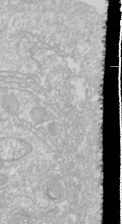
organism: Drosophila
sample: Cell division; meiosis; drosophila spermatocytes